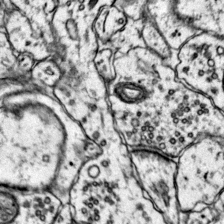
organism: Mouse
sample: Primary visual cortex